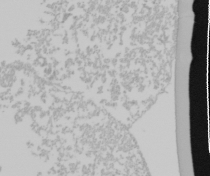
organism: Mouse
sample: Cancer cell death in ED-1 cells